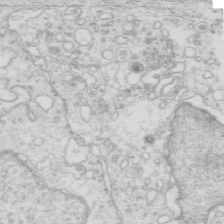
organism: Mouse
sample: Multiciliated cells